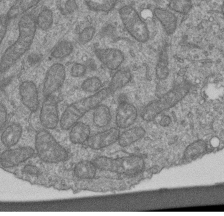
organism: Human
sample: Retinal organoid Rod and Cone cells